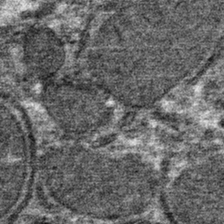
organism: Mouse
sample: Mouse hepatocytes